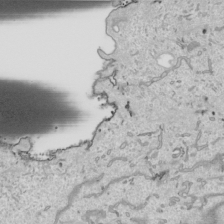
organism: Human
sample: Mitochondria in HCT116 cells